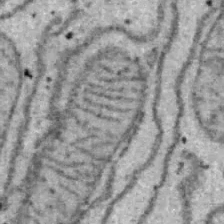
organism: Mouse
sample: Liver from an obese (ob/ob) mouse